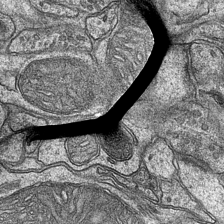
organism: Mouse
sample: CA1 Hippocampus